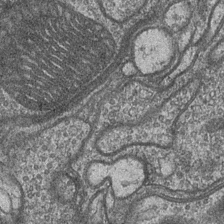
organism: Drosophila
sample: Optic medulla